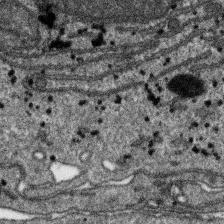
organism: Human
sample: Lung epithelial cells infected with SARS-CoV-2